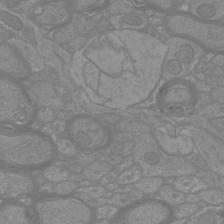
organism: Mouse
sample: Cortical neurons